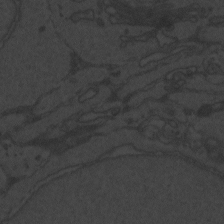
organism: Zebrafish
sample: Macrophage infected with Toxoplasma gondii